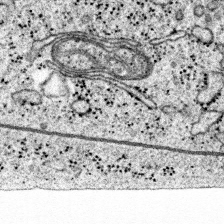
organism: Human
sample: HeLa cells